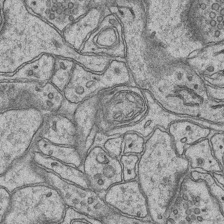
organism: Mouse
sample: CA1 Hippocampus